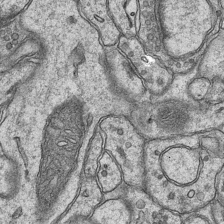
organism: Mouse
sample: CA1 Hippocampus